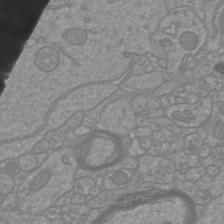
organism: Mouse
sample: Cortical neurons